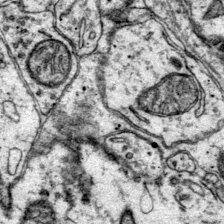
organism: Mouse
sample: Primary visual cortex